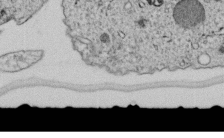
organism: C. elegans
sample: C. elegans embryo early stage